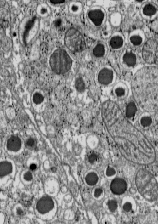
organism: C57BL Mouse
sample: Pancreatic islet